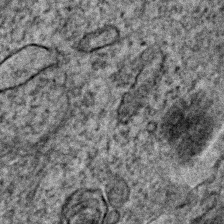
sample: Trachea